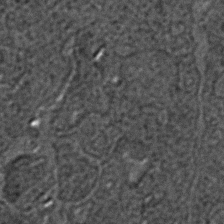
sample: Trachea